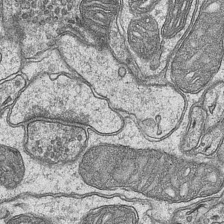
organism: Mouse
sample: CA1 Hippocampus